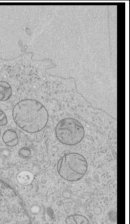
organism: Human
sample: Mitochondria in HCT116 cells